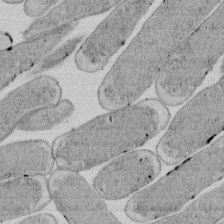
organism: E. coli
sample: Bacterial nucleoid